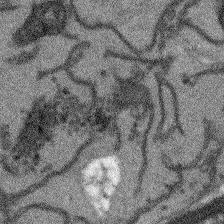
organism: Arabidopsis thaliana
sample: Root tip